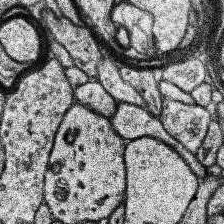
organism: Human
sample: Temporal Lobe